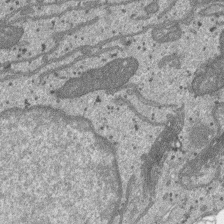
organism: Human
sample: Lung epithelial cells infected with SARS-CoV-2